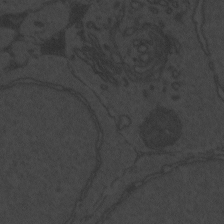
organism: Zebrafish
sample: Macrophage infected with Toxoplasma gondii